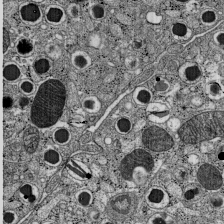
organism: C57BL Mouse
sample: Pancreatic islet